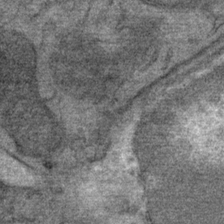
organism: Mouse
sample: Mouse Salivary gland